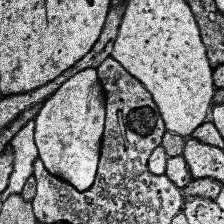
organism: Human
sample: Temporal Lobe